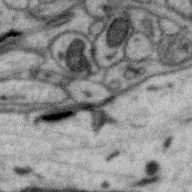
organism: Zebra finch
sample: Brain